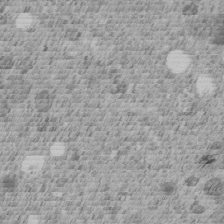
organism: C. elegans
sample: C. elegans embryo early stage